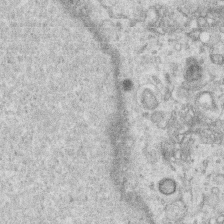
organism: Human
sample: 1205lu cells